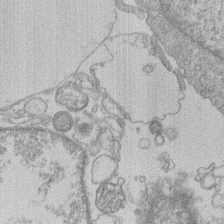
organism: Human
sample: Macrophage cells